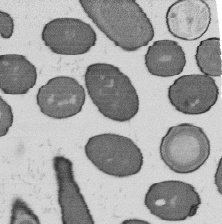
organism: B. subtilis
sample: Bacterial spore